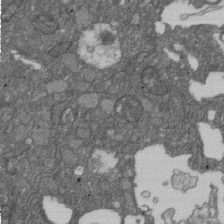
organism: Drosophila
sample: Nephrocyte